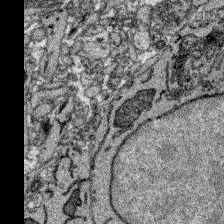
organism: Zebrafish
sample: Larval olfactory bulb